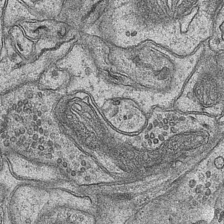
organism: Mouse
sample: CA1 Hippocampus